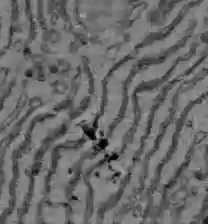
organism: C57BL Mouse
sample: Liver